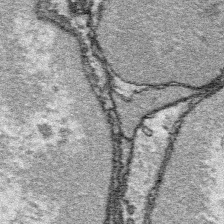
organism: Platynereis dumerilii